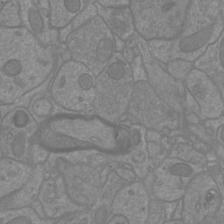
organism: Mouse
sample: Cortical neurons